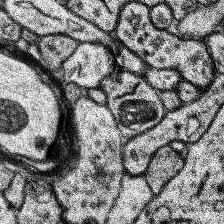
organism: Human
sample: Temporal Lobe